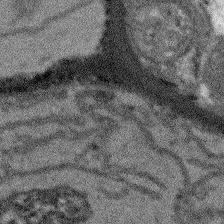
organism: Arabidopsis thaliana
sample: Root tip